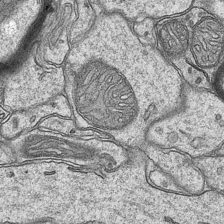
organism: Mouse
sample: CA1 Hippocampus